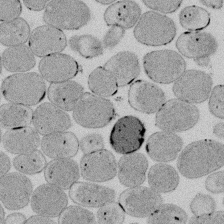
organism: E. coli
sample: Bacterial nucleoid